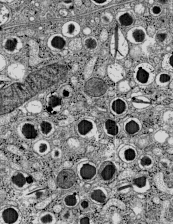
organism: C57BL Mouse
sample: Pancreatic islet